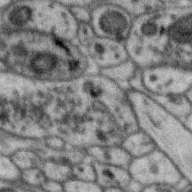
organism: Zebra finch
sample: Brain